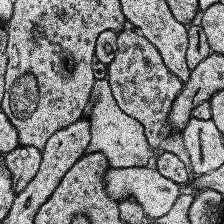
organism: Human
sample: Temporal Lobe